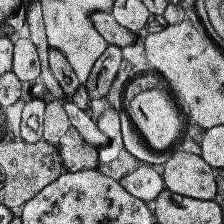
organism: Human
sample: Temporal Lobe